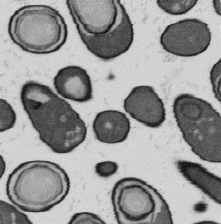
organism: B. subtilis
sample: Bacterial spore